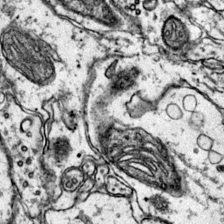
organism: Mouse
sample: Primary visual cortex